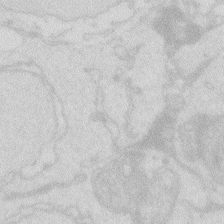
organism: Zebrafish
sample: Macrophage